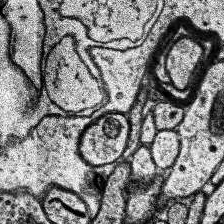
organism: Human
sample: Temporal Lobe